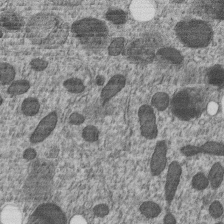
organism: C. elegans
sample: C. elegans embryo early stage